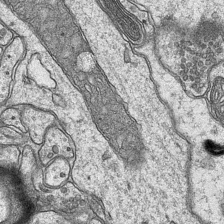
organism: Mouse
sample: CA1 Hippocampus